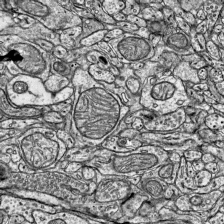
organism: Mouse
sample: Visual Cortex